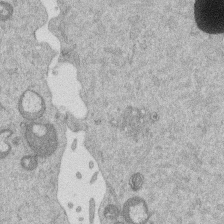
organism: Mouse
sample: Dividing mouse embryo 1 cell stage